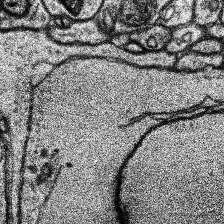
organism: Human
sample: Temporal Lobe